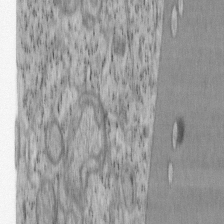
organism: Human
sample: HeLa cells